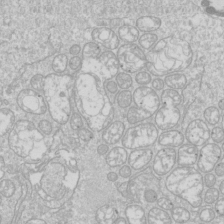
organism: Drosophila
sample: Cell division; meiosis; drosophila spermatocytes